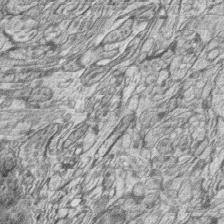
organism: Zebrafish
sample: synaptic ribbons in rod cells and cone cells